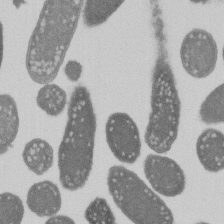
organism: E. coli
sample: Bacterial nucleoid